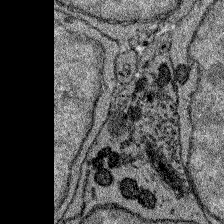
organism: Zebrafish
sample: Larval olfactory bulb